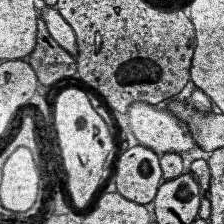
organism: Human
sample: Temporal Lobe